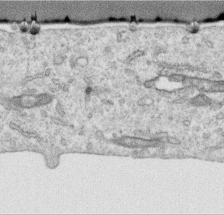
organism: Human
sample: Centriole in RPE cells